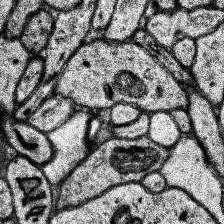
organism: Human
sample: Temporal Lobe